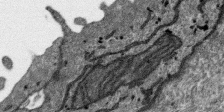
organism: Human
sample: Lung epithelial cells, uninfected (mock) control